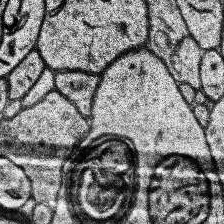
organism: Human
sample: Temporal Lobe